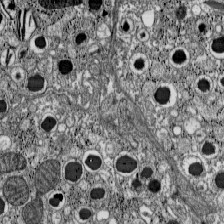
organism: C57BL Mouse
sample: Pancreatic islet